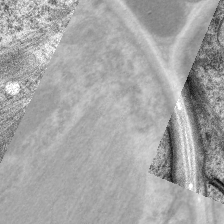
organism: C. elegans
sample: Pharynx